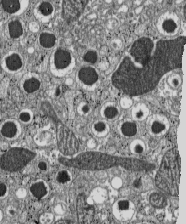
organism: C57BL Mouse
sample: Pancreatic islet